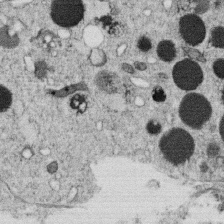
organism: C. elegans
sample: C. elegans oocyte; sperm cells